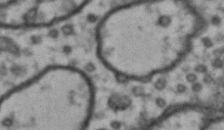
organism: Drosophila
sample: Brain